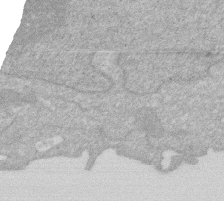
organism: Human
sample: HIV infected U937 cells